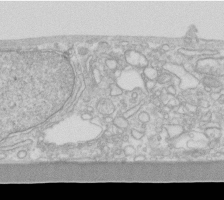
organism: Human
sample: Fibroblast cells